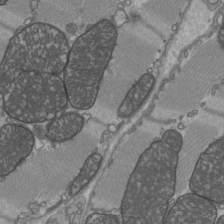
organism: C57BL Mouse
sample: Heart